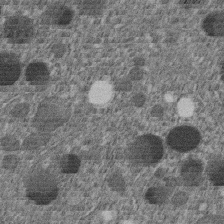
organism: C. elegans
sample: C. elegans embryo early stage